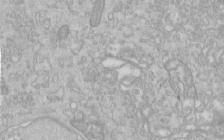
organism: Human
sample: Centriole in RPE cells